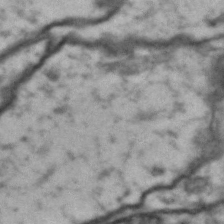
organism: Drosophila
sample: Brain